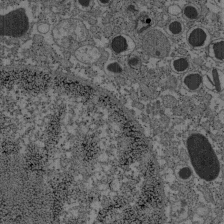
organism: C57BL Mouse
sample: Pancreatic islet